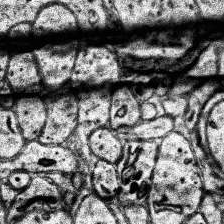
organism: Human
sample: Temporal Lobe